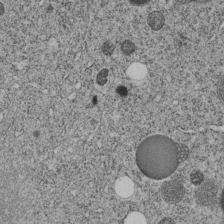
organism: C. elegans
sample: C. elegans embryo early stage